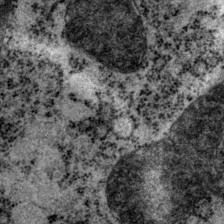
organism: P. pacificus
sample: Pharynx